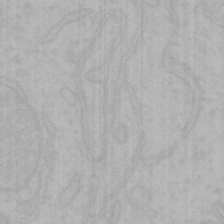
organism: Mouse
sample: Choroid plexus